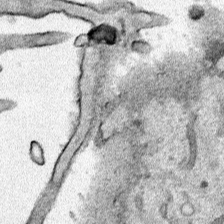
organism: Human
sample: Mitochondria in HCT116 cells